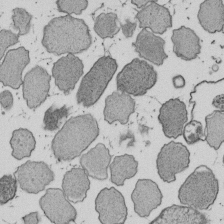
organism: E. coli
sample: Bacterial nucleoid